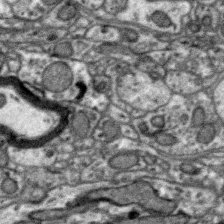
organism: Zebra finch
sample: Brain